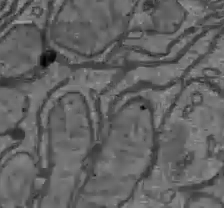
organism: C57BL Mouse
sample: Liver